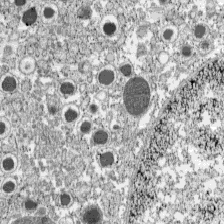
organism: C57BL Mouse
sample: Pancreatic islet